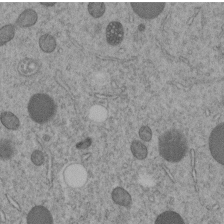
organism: C. elegans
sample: C. elegans embryo early stage